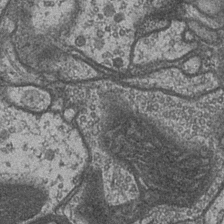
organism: Drosophila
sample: Optic medulla